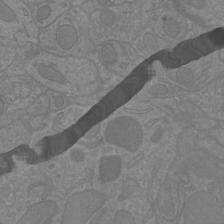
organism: Mouse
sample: Cortical neurons